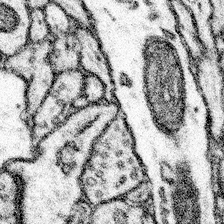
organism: Mouse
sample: Somatosensory cortex neuropil